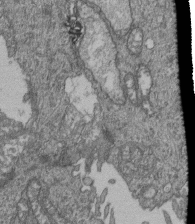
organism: Human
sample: Retinal organoid Rod and Cone cells